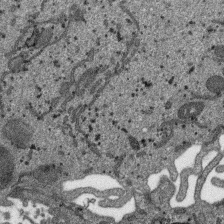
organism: Human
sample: Lung epithelial cells infected with SARS-CoV-2